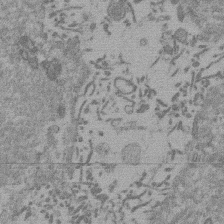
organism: Mouse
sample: Dividing mouse embryo 1 cell stage